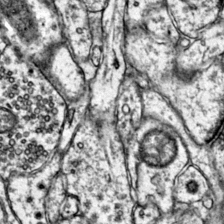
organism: Mouse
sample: Primary visual cortex